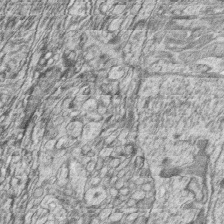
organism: Zebrafish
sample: synaptic ribbons in rod cells and cone cells